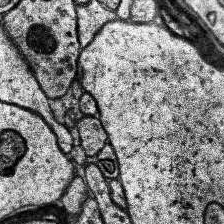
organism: Human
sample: Temporal Lobe